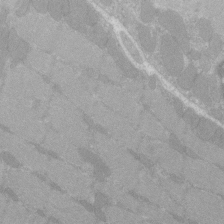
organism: C57BL Mouse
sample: Tibialis anterior muscle cell